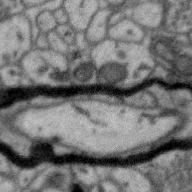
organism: Zebra finch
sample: Brain